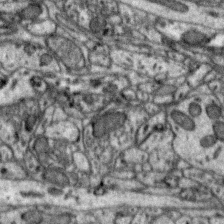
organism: Zebra finch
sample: Brain